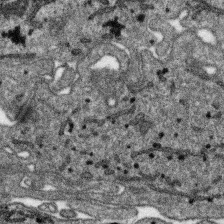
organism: Human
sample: Lung epithelial cells infected with SARS-CoV-2